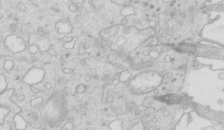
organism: Mouse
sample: Multiciliated cells